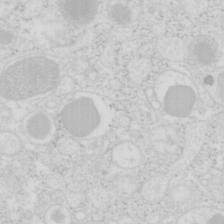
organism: Mouse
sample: Pancreas